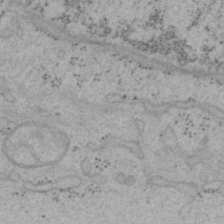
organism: Human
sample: HeLa cells